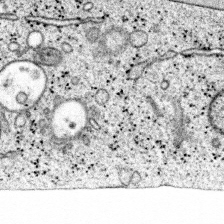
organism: Human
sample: HeLa cells